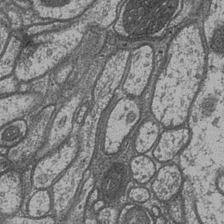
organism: Drosophila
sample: Optic medulla